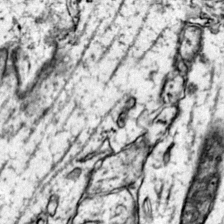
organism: Mouse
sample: Primary visual cortex